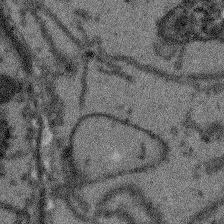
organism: Arabidopsis thaliana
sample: Root tip